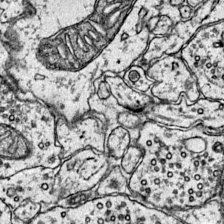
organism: Mouse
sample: Primary visual cortex